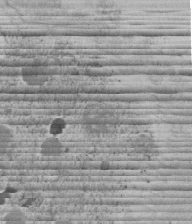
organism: C. elegans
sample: C. elegans embryo early stage